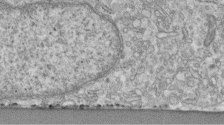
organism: Human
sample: Centriole in fibroblast cells